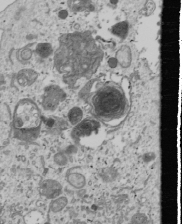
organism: Human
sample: Mitochondria in U2OS cells